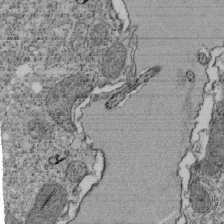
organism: Tetrahymena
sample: Cilia in tetrahymena